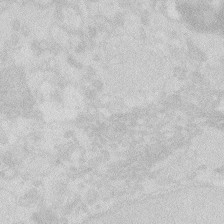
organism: Zebrafish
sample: Macrophage